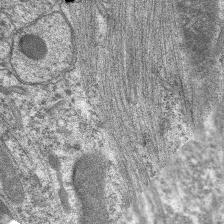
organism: C. elegans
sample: Pharynx